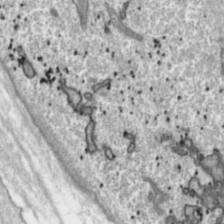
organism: Toxoplasma gondii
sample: Parasites in a vacuole inside a host cell